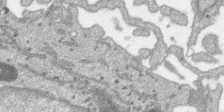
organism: Human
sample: Lung epithelial cells infected with SARS-CoV-2